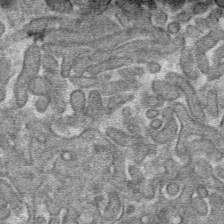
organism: Mouse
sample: Mouse hepatocytes